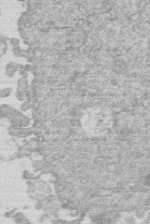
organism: Human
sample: Macrophage cells